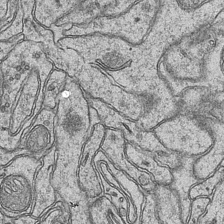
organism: Mouse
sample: CA1 Hippocampus